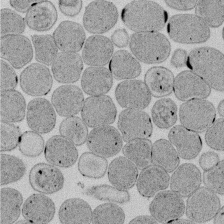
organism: E. coli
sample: Bacterial nucleoid